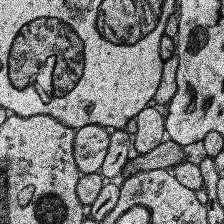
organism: Human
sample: Temporal Lobe